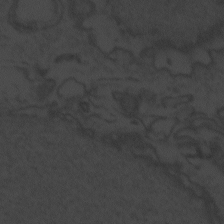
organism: Zebrafish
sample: Macrophage infected with Toxoplasma gondii